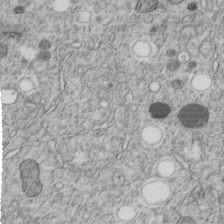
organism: C. elegans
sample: C. elegans embryo early stage